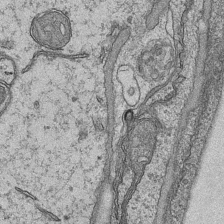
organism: Mouse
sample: CA1 Hippocampus